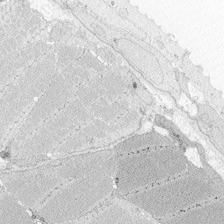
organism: Zebrafish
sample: Whole-Brain